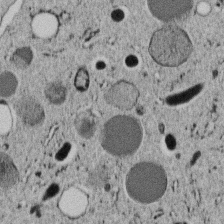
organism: C. elegans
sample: C. elegans embryo early stage